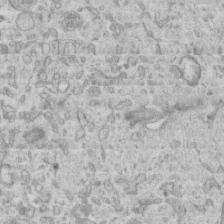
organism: Mouse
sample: Centriole in ependymal cells